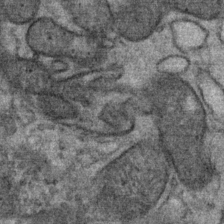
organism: Mouse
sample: Mouse Salivary gland